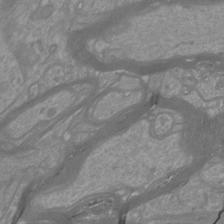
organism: Mouse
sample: Cortical neurons